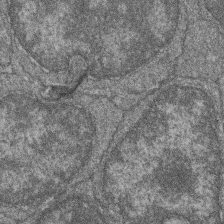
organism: Zebrafish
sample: Cilia; retinal pigment epithelium